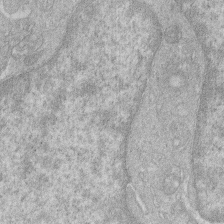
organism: Human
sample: Macrophage cells